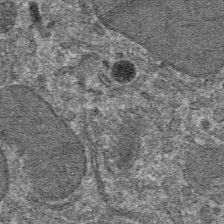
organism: Mouse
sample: Mouse hepatocytes